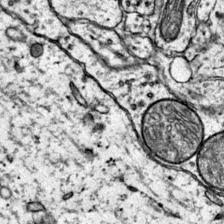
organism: Mouse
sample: Primary visual cortex